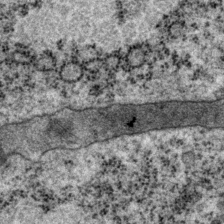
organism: P. pacificus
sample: Pharynx